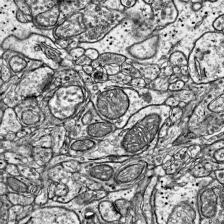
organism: Mouse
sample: Visual Cortex